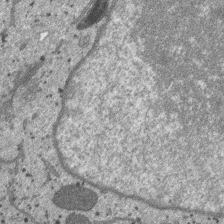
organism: Human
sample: Lung epithelial cells infected with SARS-CoV-2